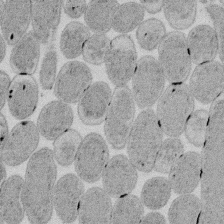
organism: E. coli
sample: Bacterial nucleoid